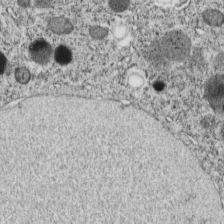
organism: C. elegans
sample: C. elegans embryo early stage